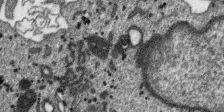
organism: Human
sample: Lung epithelial cells infected with SARS-CoV-2